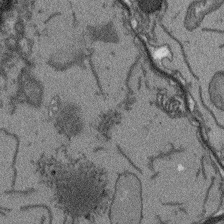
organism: Arabidopsis thaliana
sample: Root tip